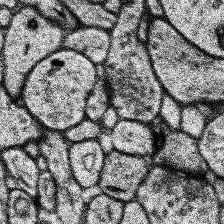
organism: Human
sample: Temporal Lobe